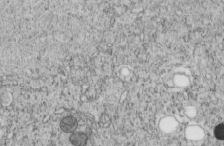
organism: C. elegans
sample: C. elegans embryo early stage